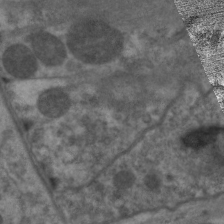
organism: C. elegans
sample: Pharynx